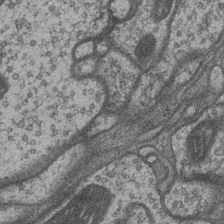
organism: Drosophila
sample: Optic medulla